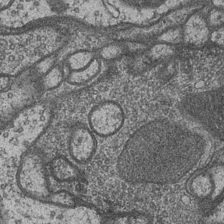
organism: Drosophila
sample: Optic medulla